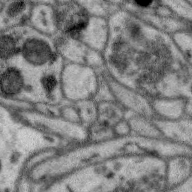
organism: Zebra finch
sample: Brain